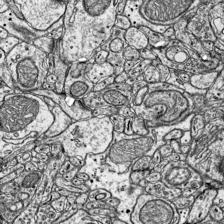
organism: Mouse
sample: Visual Cortex